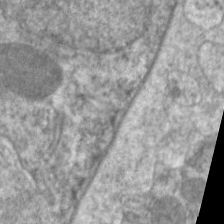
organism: C. elegans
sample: Pharynx